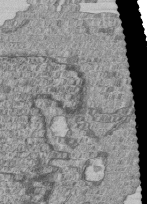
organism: Human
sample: MDA-MB-231 cells